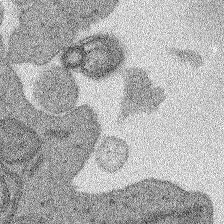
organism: Human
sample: HeLa cells